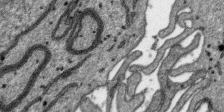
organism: Human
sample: Lung epithelial cells, uninfected (mock) control